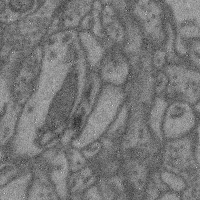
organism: Mouse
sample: Cerebral cortex